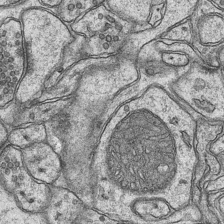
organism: Mouse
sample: CA1 Hippocampus